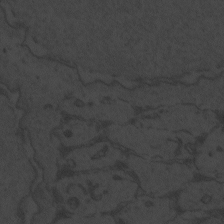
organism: Zebrafish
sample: Macrophage infected with Toxoplasma gondii